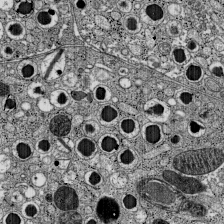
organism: C57BL Mouse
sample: Pancreatic islet